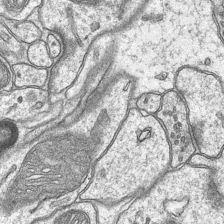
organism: Mouse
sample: CA1 Hippocampus